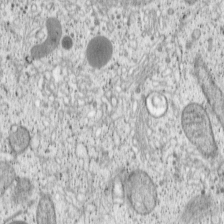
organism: African green monkey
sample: COS-7 cells